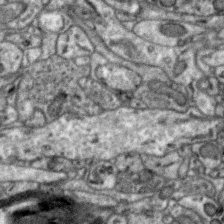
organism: Zebra finch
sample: Brain